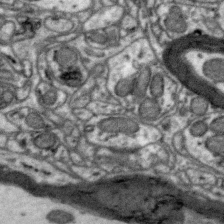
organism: Zebra finch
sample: Brain